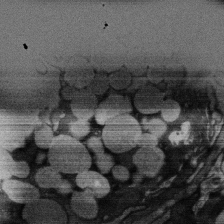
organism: Rat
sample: Salivary granule